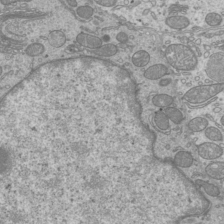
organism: Mouse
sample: Cilia; mouse epididymis